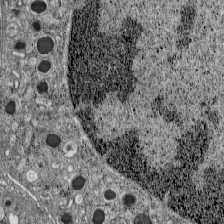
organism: C57BL Mouse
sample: Pancreatic islet